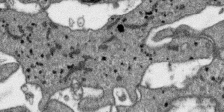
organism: Human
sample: Lung epithelial cells, uninfected (mock) control